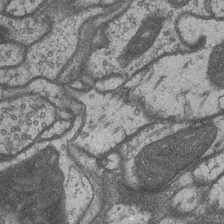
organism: Drosophila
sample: Optic medulla